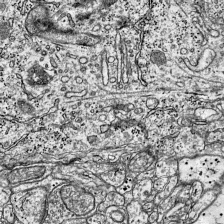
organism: Mouse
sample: Visual Cortex